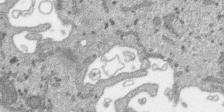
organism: Human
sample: Lung epithelial cells infected with SARS-CoV-2